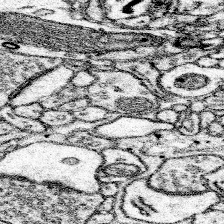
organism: Mouse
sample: Somatosensory cortex neuropil